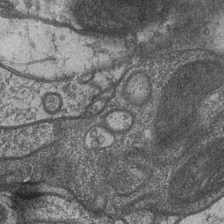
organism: Drosophila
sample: Optic medulla